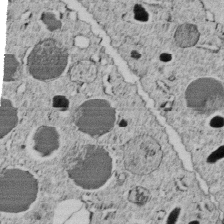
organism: C. elegans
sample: C. elegans embryo early stage